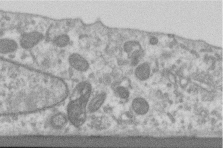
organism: Human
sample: Centriole in RPE cells